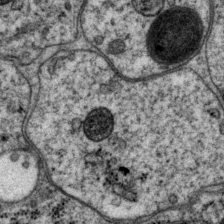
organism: P. pacificus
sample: Pharynx